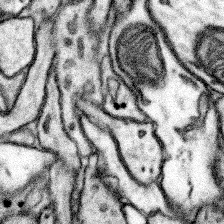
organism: Mouse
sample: Somatosensory cortex neuropil